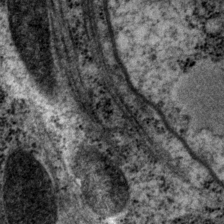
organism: P. pacificus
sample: Pharynx